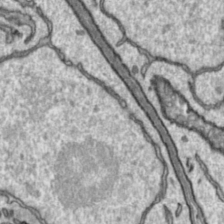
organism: Toxoplasma gondii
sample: Parasites in a vacuole inside a host cell